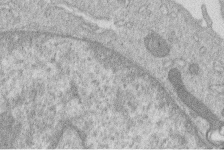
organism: Human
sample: Macrophage cells